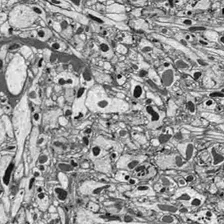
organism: Drosophila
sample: Optic lobe